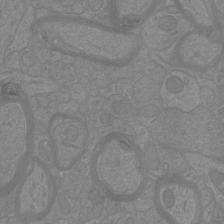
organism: Mouse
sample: Cortical neurons